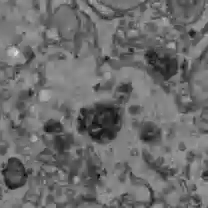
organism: C57BL Mouse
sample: Liver